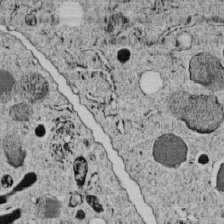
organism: C. elegans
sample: C. elegans embryo early stage